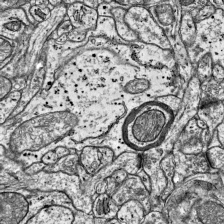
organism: Mouse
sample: Visual Cortex